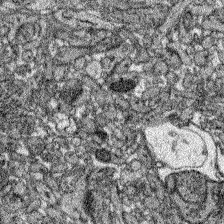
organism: Zebrafish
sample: Larval olfactory bulb